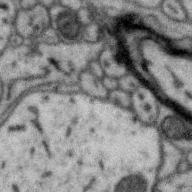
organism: Zebra finch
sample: Brain